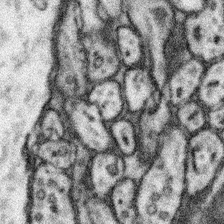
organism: Mouse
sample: Somatosensory cortex neuropil